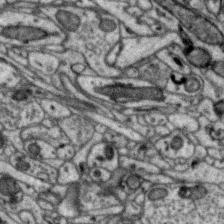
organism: Zebra finch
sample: Brain